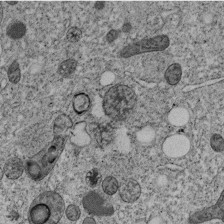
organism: C. elegans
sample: C. elegans embryo early stage